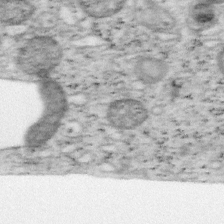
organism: Mouse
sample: OT-I killer T cells with ID8 ovarian cancer cells